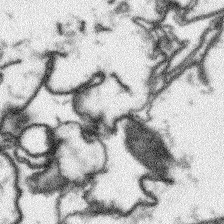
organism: Arabidopsis thaliana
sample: Root tip